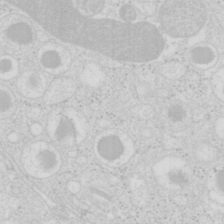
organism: Mouse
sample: Pancreas